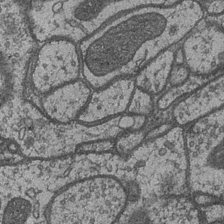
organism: Drosophila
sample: Optic medulla